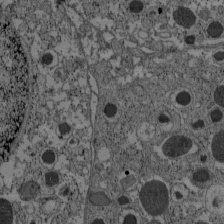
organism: C57BL Mouse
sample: Pancreatic islet